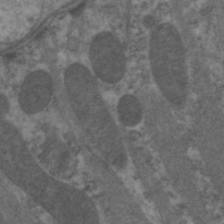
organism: C. elegans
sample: Pharynx